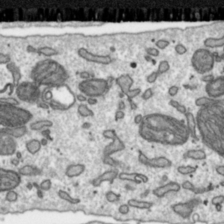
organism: Toxoplasma gondii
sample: Parasites in a vacuole inside a host cell